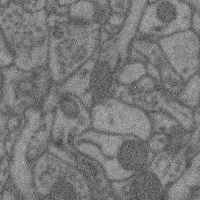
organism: Mouse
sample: Cerebral cortex